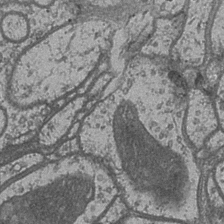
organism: Drosophila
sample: Optic medulla